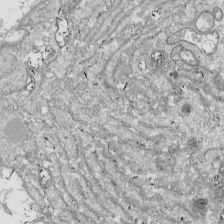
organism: Drosophila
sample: Cell division; meiosis; drosophila spermatocytes